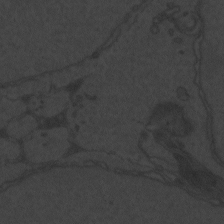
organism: Zebrafish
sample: Macrophage infected with Toxoplasma gondii